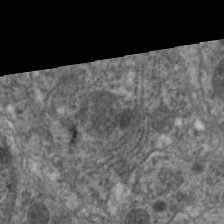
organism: C. elegans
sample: Pharynx